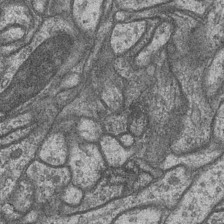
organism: Drosophila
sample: Optic medulla